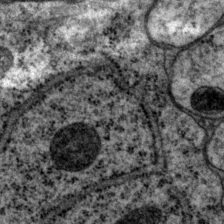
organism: P. pacificus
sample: Pharynx